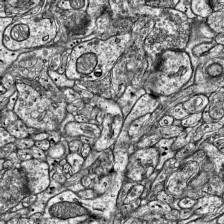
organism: Mouse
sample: Visual Cortex